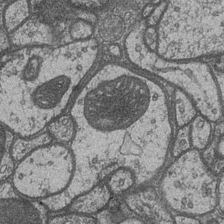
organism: Drosophila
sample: Optic medulla